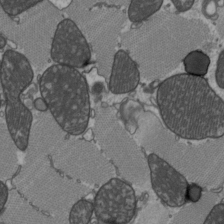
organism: C57BL Mouse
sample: Heart